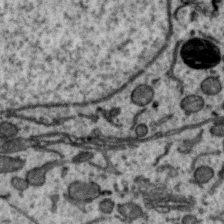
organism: Zebra finch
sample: Brain